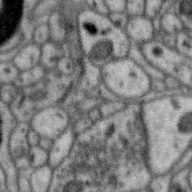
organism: Zebra finch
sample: Brain